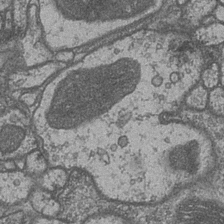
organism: Drosophila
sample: Optic medulla